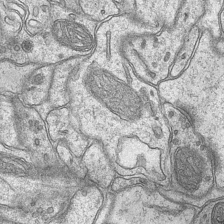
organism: Mouse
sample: CA1 Hippocampus